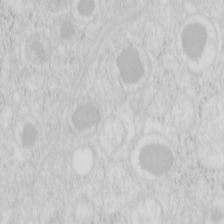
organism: Mouse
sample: Pancreas